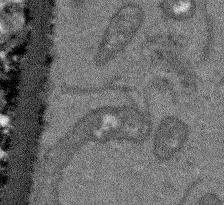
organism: Arabidopsis thaliana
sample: Root tip